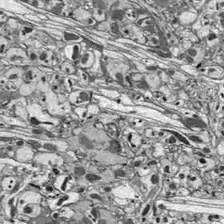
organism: Drosophila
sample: Optic lobe